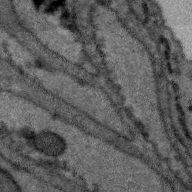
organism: Zebra finch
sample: Brain